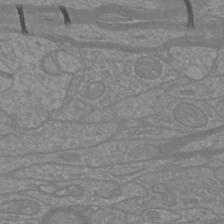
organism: Mouse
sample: Cortical neurons